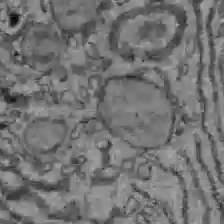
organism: C57BL Mouse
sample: Liver